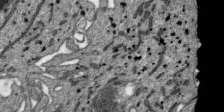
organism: Human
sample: Lung epithelial cells, uninfected (mock) control